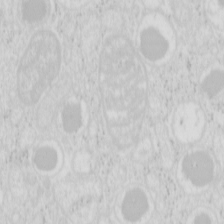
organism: Mouse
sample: Pancreas